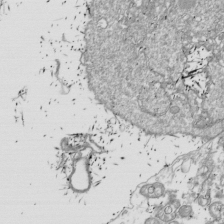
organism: Drosophila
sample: Cell division; meiosis; drosophila spermatocytes